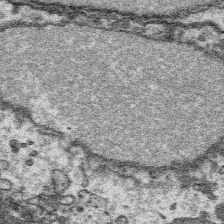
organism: Platynereis dumerilii